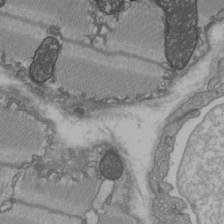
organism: C57BL Mouse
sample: Heart